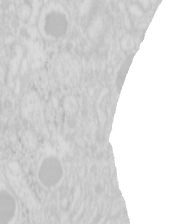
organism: Mouse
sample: Pancreas